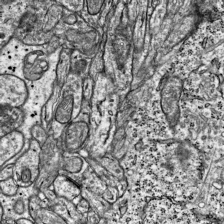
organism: Mouse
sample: Visual Cortex